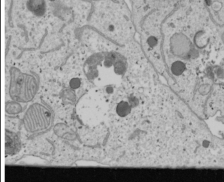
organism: Human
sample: Mitochondria in U2OS cells